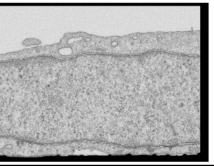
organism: Human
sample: Centriole in RPE cells